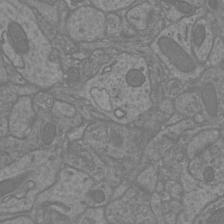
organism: Mouse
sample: Cortical neurons